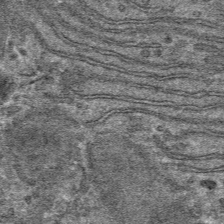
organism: Mouse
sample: Mouse hepatocytes